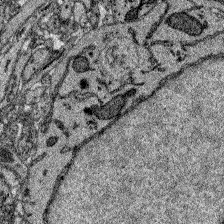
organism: Zebrafish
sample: Larval olfactory bulb